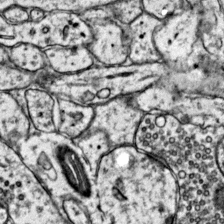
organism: Mouse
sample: Primary visual cortex